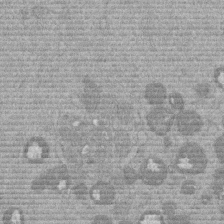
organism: Mouse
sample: Dividing mouse embryo 1 cell stage